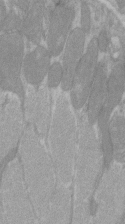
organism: C57BL Mouse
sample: Tibialis anterior muscle cell